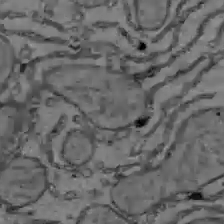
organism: C57BL Mouse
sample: Liver